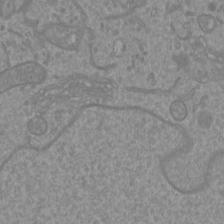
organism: Mouse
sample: Cortical neurons